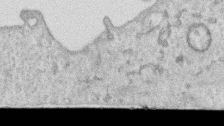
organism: Human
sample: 1205lu cells